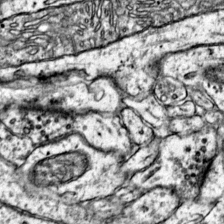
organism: Mouse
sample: Primary visual cortex